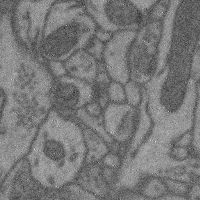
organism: Mouse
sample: Cerebral cortex